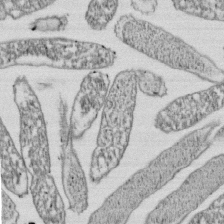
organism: E. coli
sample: Bacterial nucleoid